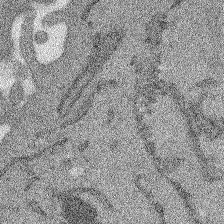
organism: Human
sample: HeLa cells